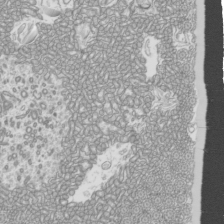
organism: Mouse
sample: Cilia; mouse epididymis